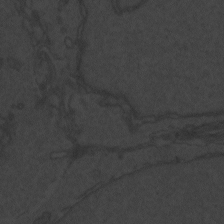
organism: Zebrafish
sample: Macrophage infected with Toxoplasma gondii